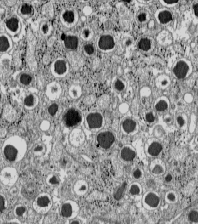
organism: C57BL Mouse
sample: Pancreatic islet